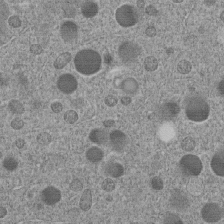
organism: C. elegans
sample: C. elegans embryo early stage